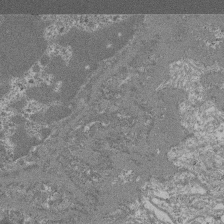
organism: Mouse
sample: Glomerulus